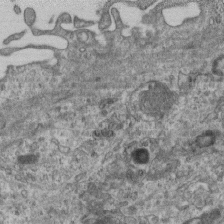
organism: Mouse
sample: Centriole in ependymal cells